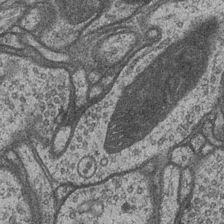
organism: Drosophila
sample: Optic medulla